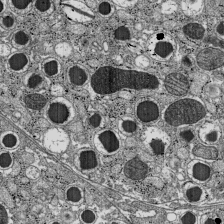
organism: C57BL Mouse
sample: Pancreatic islet